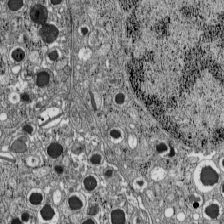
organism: C57BL Mouse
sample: Pancreatic islet